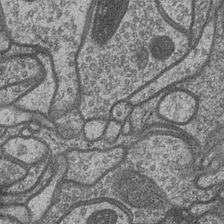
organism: Drosophila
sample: Optic medulla